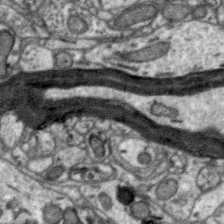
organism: Zebra finch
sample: Brain